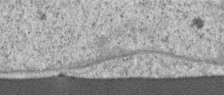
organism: Human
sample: Centriole in RPE cells